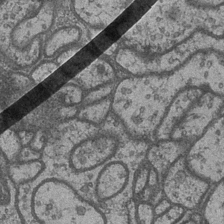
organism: Drosophila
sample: Optic medulla